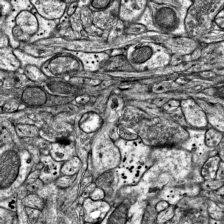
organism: Mouse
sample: Visual Cortex